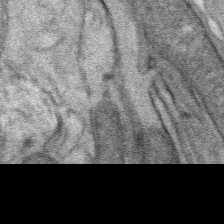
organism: Mouse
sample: Mouse Salivary gland